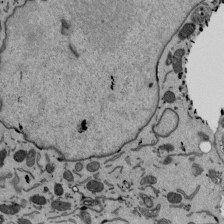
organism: Mouse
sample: ED-1 cell nuclei; centrioles